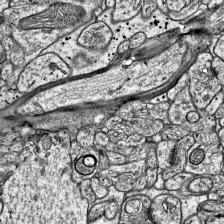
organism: Mouse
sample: Visual Cortex